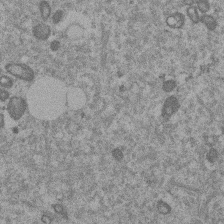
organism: Mouse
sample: Dividing mouse embryo 1 cell stage